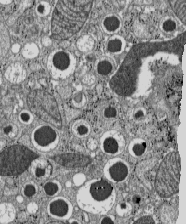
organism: C57BL Mouse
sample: Pancreatic islet